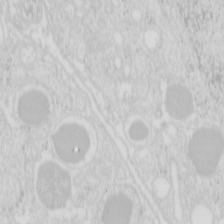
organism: Mouse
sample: Pancreas